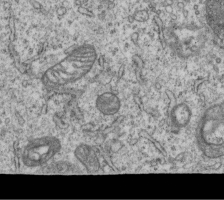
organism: Human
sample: MDA-MB-231 cells